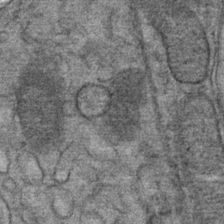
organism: Mouse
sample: Mouse Salivary gland